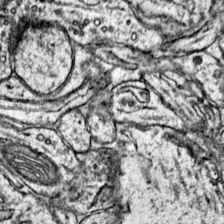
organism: Mouse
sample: Primary visual cortex